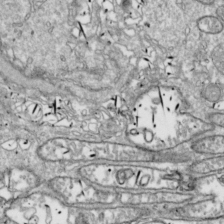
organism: Drosophila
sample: Cell division; meiosis; drosophila spermatocytes